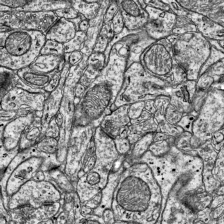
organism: Mouse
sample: Visual Cortex